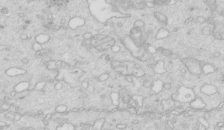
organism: Mouse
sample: Multiciliated cells